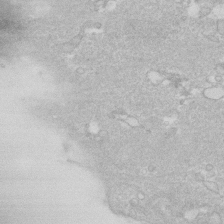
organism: Human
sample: Fibroblast cells